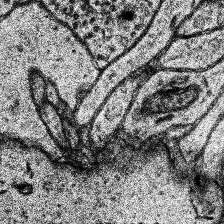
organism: Human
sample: Temporal Lobe